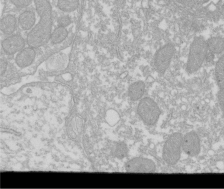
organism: Xenopus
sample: Cilia; centrioles in frog embryo cells